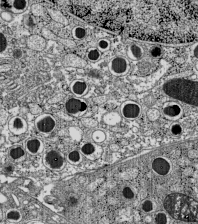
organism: C57BL Mouse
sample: Pancreatic islet